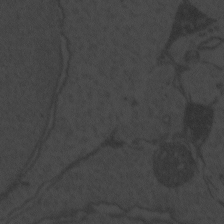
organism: Zebrafish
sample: Macrophage infected with Toxoplasma gondii